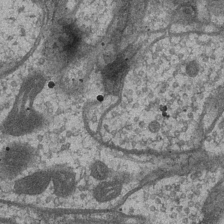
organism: Drosophila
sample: Optic medulla